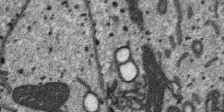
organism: Human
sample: Lung epithelial cells infected with SARS-CoV-2